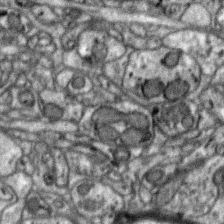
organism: Zebra finch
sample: Brain